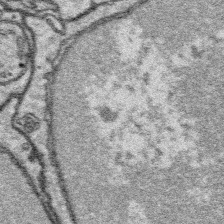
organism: Platynereis dumerilii